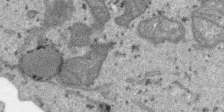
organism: Human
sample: Lung epithelial cells infected with SARS-CoV-2